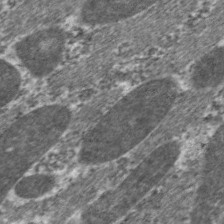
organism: C. elegans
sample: Pharynx